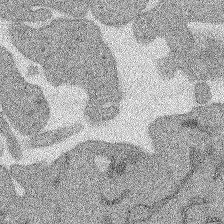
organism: Human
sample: HeLa cells